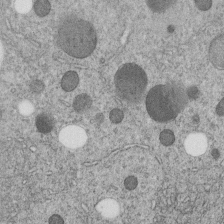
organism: C. elegans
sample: C. elegans embryo early stage